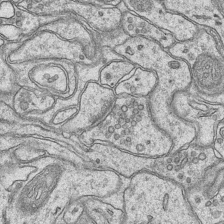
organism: Mouse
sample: CA1 Hippocampus